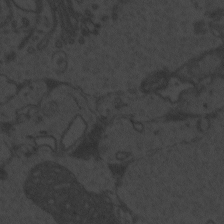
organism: Zebrafish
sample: Macrophage infected with Toxoplasma gondii